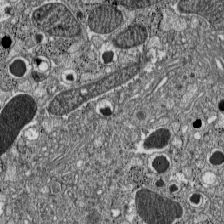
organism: C57BL Mouse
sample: Pancreatic islet